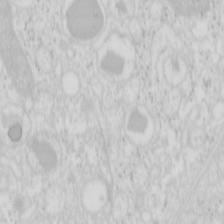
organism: Mouse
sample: Pancreas